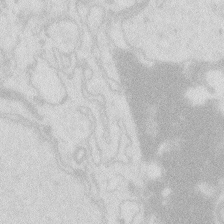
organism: Zebrafish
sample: Macrophage